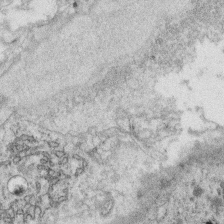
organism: C. elegans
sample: C. elegans oocyte; sperm cells